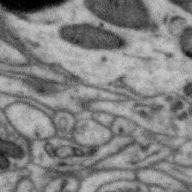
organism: Zebra finch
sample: Brain